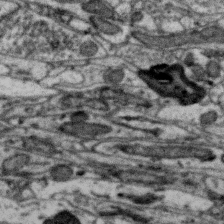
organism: Zebra finch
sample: Brain